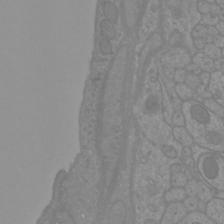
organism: Mouse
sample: Cortical neurons